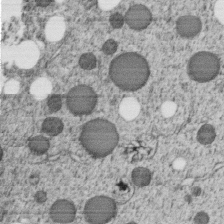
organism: C. elegans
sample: C. elegans embryo early stage